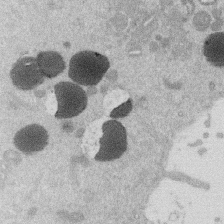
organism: Mouse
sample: Dividing mouse embryo 1 cell stage